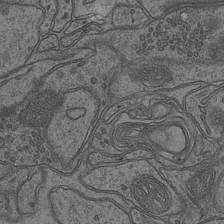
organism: Mouse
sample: CA1 Hippocampus